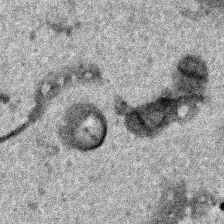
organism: Human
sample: Mitochondria in HCT116 cells